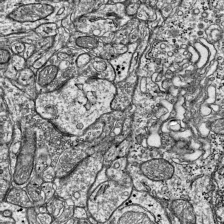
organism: Mouse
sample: Visual Cortex